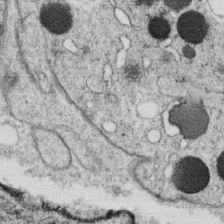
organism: C. elegans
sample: C. elegans oocyte; sperm cells